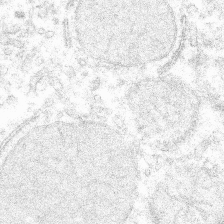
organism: Mouse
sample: Mouse hepatocytes